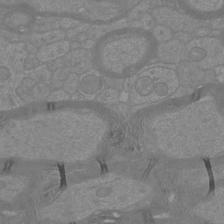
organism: Mouse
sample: Cortical neurons